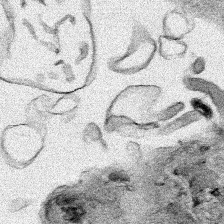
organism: Human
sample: Mitochondria in HCT116 cells